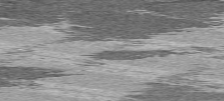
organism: C57BL Mouse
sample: Heart